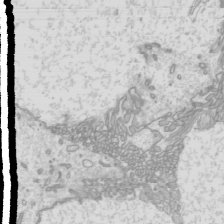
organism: Mouse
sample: Cilia; mouse epididymis